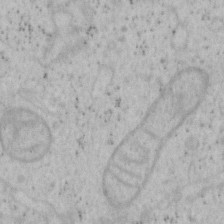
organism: Human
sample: HeLa cells